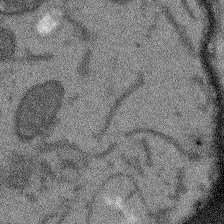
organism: Arabidopsis thaliana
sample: Root tip